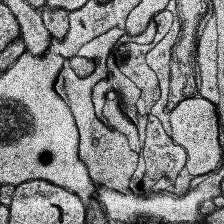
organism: Human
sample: Temporal Lobe